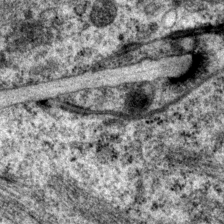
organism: P. pacificus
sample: Pharynx